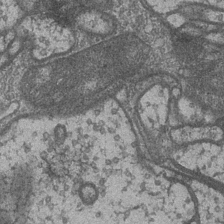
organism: Drosophila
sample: Optic medulla